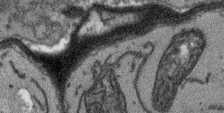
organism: Arabidopsis thaliana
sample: Root tip